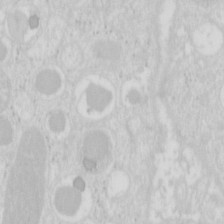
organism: Mouse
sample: Pancreas